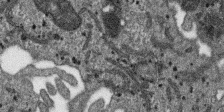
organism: Human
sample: Lung epithelial cells infected with SARS-CoV-2